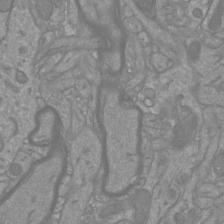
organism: Mouse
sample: Cortical neurons